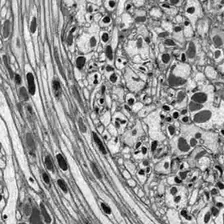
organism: Drosophila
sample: Optic lobe